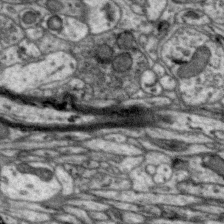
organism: Zebra finch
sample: Brain